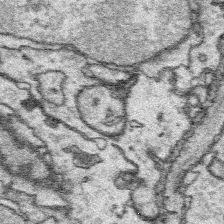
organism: Platynereis dumerilii